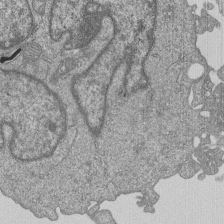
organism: Human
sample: MDA-MB-231 cells